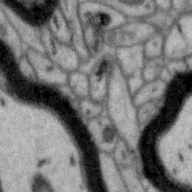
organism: Zebra finch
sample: Brain